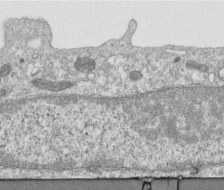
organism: Human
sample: Centriole in RPE cells